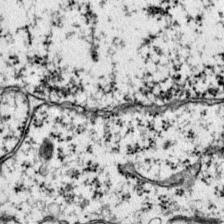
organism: Mouse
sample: Primary visual cortex